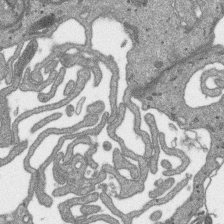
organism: Human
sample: Lung epithelial cells infected with SARS-CoV-2